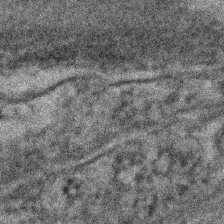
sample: Kidney